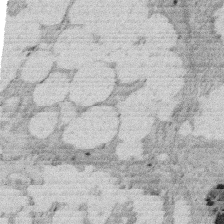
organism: Rat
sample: Salivary granule